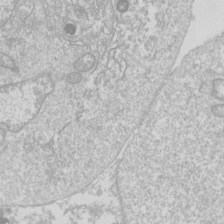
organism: Drosophila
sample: Cell division; meiosis; drosophila spermatocytes